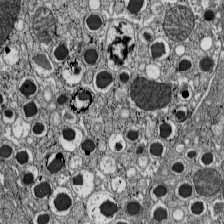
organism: C57BL Mouse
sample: Pancreatic islet